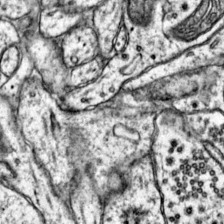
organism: Mouse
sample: Primary visual cortex